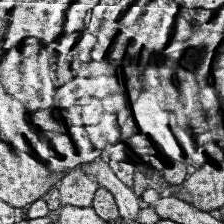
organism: Human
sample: Temporal Lobe